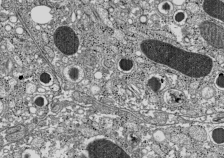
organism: C57BL Mouse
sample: Pancreatic islet